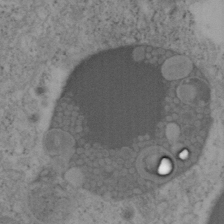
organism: Mouse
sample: OT-I killer T cells with ID8 ovarian cancer cells